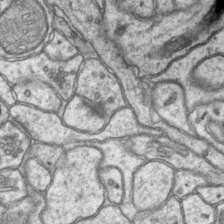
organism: Mouse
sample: CA1 Hippocampus